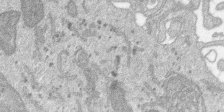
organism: Human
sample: Lung epithelial cells infected with SARS-CoV-2